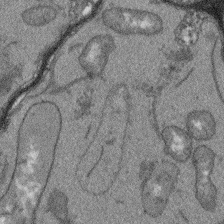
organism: Arabidopsis thaliana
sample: Root tip